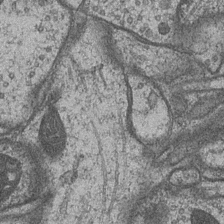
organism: Drosophila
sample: Optic medulla